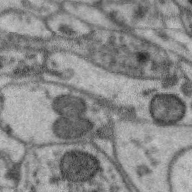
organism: Zebra finch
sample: Brain